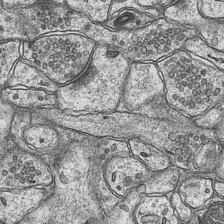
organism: Mouse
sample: CA1 Hippocampus